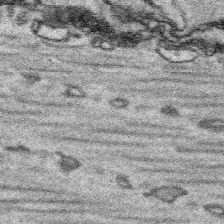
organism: Platynereis dumerilii